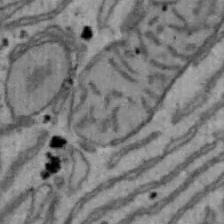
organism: Mouse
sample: Liver